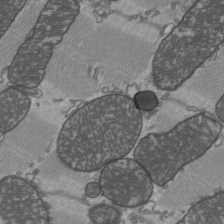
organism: C57BL Mouse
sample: Heart